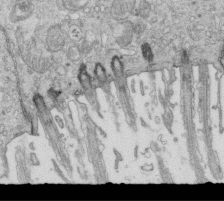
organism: Mouse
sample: Multiciliated cells